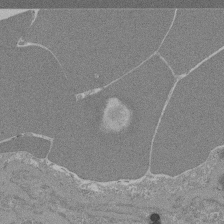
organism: Mouse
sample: Glomerulus